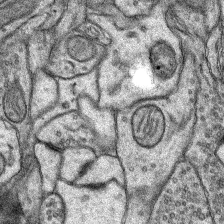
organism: Rat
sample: Hippocampus